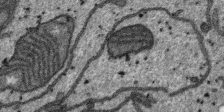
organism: Human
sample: Lung epithelial cells, uninfected (mock) control